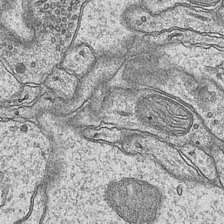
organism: Mouse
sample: CA1 Hippocampus